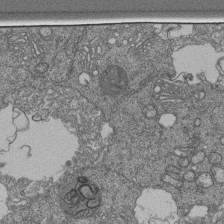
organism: Human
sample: Retinal organoid Rod and Cone cells